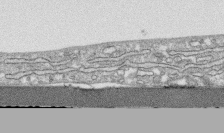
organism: Human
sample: CRL-1474